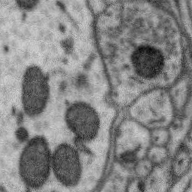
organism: Zebra finch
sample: Brain